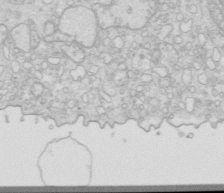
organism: Mouse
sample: Multiciliated cells